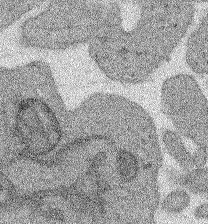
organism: Human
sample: HeLa cells